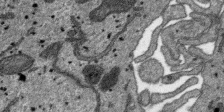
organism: Human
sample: Lung epithelial cells, uninfected (mock) control